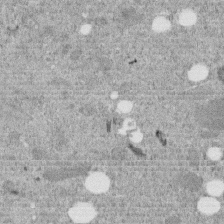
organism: C. elegans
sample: C. elegans embryo early stage